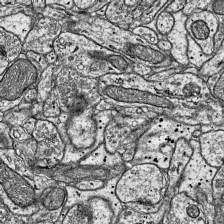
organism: Mouse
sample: Visual Cortex